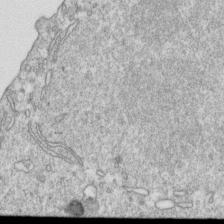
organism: Mouse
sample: Activated OT-1 CD8+ T cells